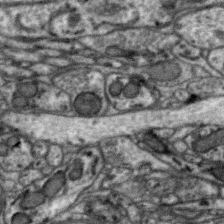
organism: Zebra finch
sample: Brain